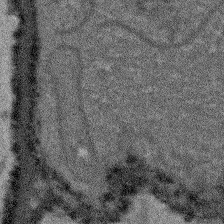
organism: Arabidopsis thaliana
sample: Root tip